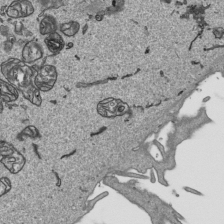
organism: Human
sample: Mitochondria in HCT116 cells